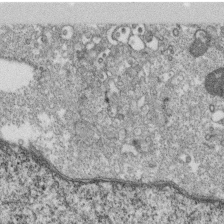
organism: African green monkey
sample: Vero E6 cells infected with SARS-CoV-2